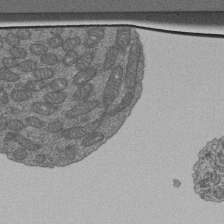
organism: Human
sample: Retinal organoid Rod and Cone cells